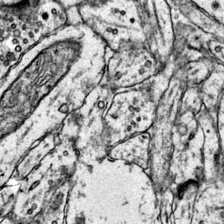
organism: Mouse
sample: Primary visual cortex